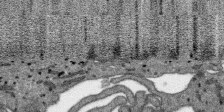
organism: Human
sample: Lung epithelial cells, uninfected (mock) control